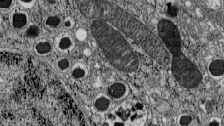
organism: C57BL Mouse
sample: Pancreatic islet